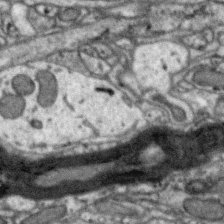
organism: Zebra finch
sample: Brain